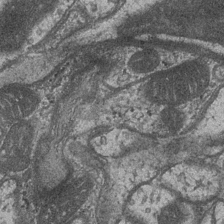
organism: Drosophila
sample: Optic medulla